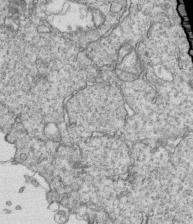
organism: Human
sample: HeLa cell HIV synapse